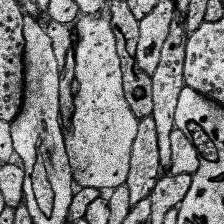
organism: Human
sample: Temporal Lobe